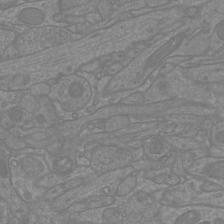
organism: Mouse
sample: Cortical neurons